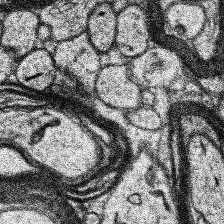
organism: Human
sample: Temporal Lobe